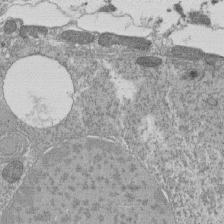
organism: Tetrahymena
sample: Cilia in tetrahymena